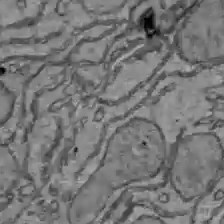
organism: C57BL Mouse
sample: Liver